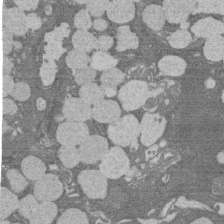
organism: Rat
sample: Salivary granule